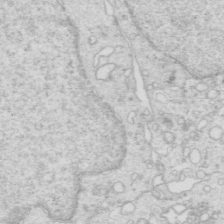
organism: Mouse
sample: Multiciliated cells